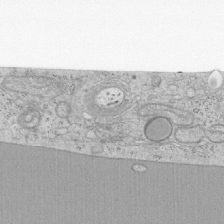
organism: Human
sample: HeLa cells